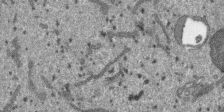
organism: Human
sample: Lung epithelial cells infected with SARS-CoV-2